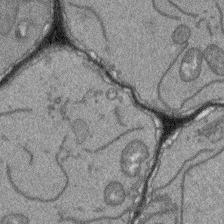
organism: Arabidopsis thaliana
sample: Root tip